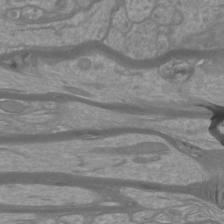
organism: Mouse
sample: Cortical neurons